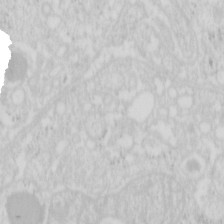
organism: Mouse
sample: Pancreas